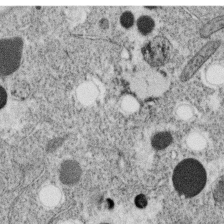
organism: C. elegans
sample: C. elegans oocyte; sperm cells